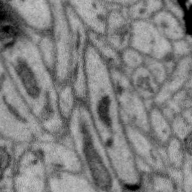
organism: Zebra finch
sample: Brain